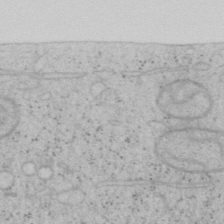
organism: Human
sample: HeLa cells